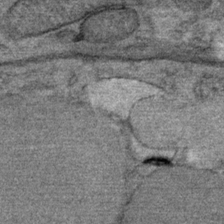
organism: Mouse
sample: Mouse Salivary gland